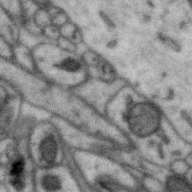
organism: Zebra finch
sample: Brain